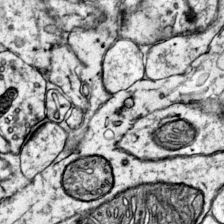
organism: Mouse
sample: Primary visual cortex